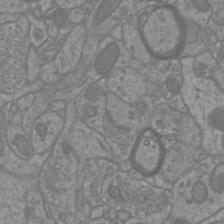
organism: Mouse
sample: Cortical neurons